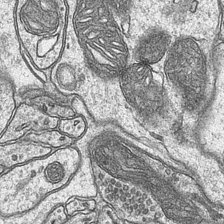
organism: Mouse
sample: CA1 Hippocampus